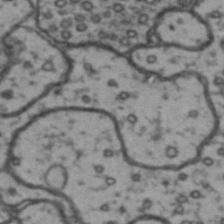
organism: Drosophila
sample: Brain